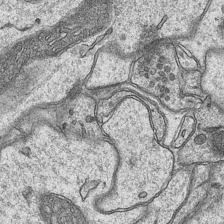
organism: Mouse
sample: CA1 Hippocampus